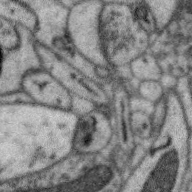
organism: Zebra finch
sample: Brain